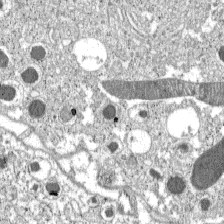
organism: C57BL Mouse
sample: Pancreatic islet